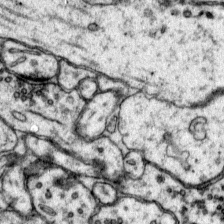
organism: Mouse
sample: Primary visual cortex